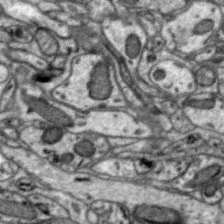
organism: Zebra finch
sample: Brain